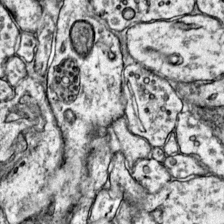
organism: Mouse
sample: Primary visual cortex